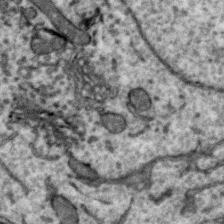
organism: Zebra finch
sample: Brain